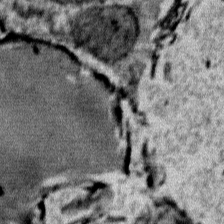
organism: Mouse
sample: Mouse Salivary gland